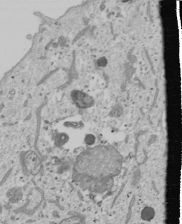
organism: Human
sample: Mitochondria in U2OS cells